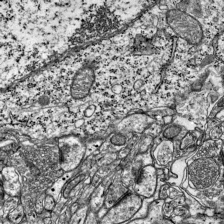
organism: Mouse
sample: Visual Cortex